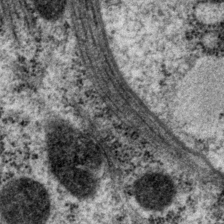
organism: P. pacificus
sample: Pharynx